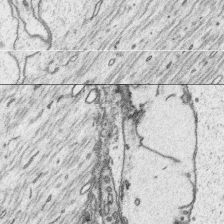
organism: Platynereis dumerilii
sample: Parapodia